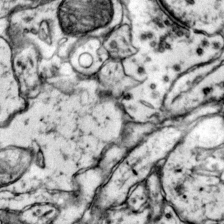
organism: Mouse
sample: Primary visual cortex